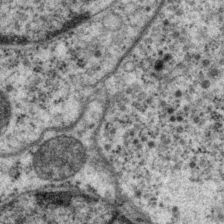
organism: P. pacificus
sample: Pharynx